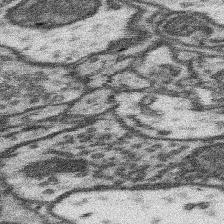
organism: Mouse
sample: Somatosensory cortex neuropil